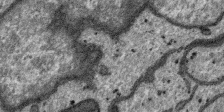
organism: Human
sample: Lung epithelial cells, uninfected (mock) control